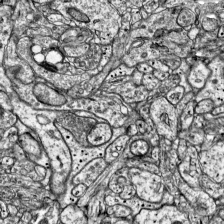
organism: Mouse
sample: Visual Cortex